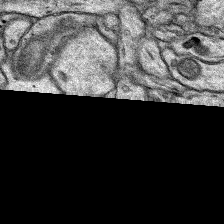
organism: Rat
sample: Hippocampus